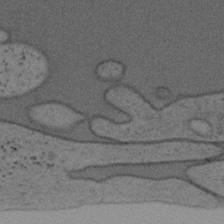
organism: Human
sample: HeLa cells